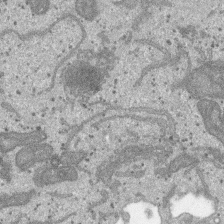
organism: Human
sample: Lung epithelial cells infected with SARS-CoV-2